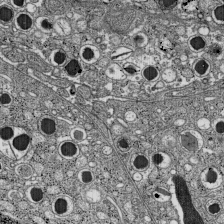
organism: C57BL Mouse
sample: Pancreatic islet